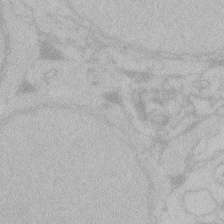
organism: Zebrafish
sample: Macrophage infected with Toxoplasma gondii